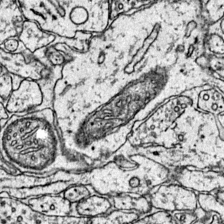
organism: Mouse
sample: Primary visual cortex